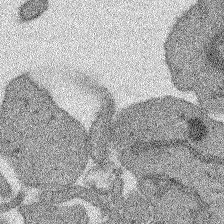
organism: Human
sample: HeLa cells